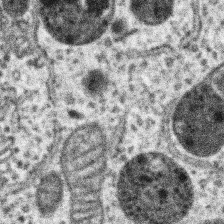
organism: Human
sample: HeLa cells